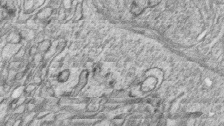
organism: Zebrafish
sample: synaptic ribbons in rod cells and cone cells